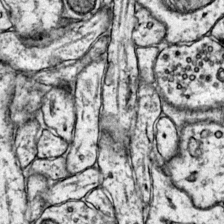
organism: Mouse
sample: Primary visual cortex